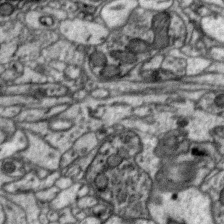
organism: Zebra finch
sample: Brain